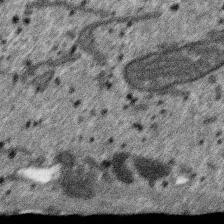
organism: Human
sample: Lung epithelial cells infected with SARS-CoV-2